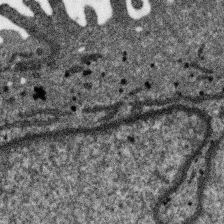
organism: Human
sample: Lung epithelial cells infected with SARS-CoV-2